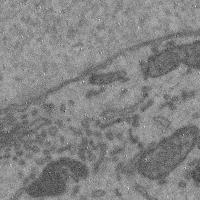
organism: Mouse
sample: Cerebral cortex